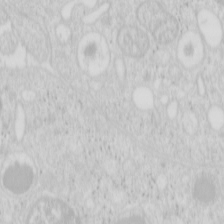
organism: Mouse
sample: Pancreas